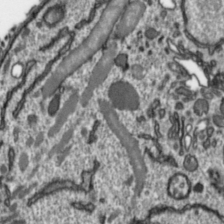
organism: Toxoplasma gondii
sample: Parasites in a vacuole inside a host cell